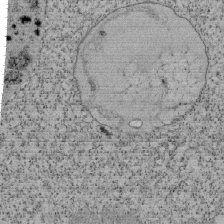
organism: Tetrahymena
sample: Cilia in tetrahymena